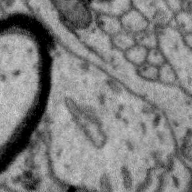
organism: Zebra finch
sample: Brain